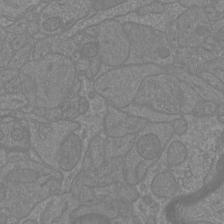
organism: Mouse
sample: Cortical neurons